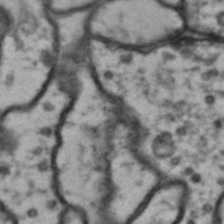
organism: Drosophila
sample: Brain